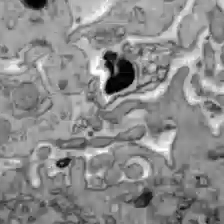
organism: C57BL Mouse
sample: Liver